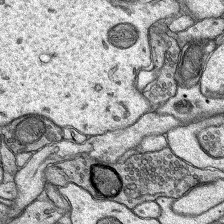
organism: Rat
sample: Hippocampus